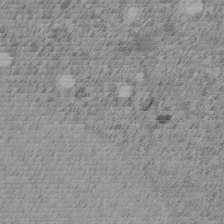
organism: C. elegans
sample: C. elegans embryo early stage